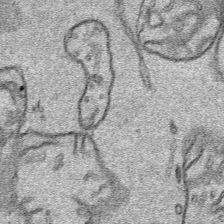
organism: Human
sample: Mitochondria in HCT116 cells